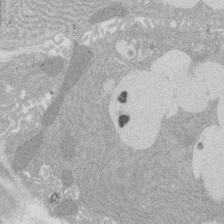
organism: Rat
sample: Salivary granule